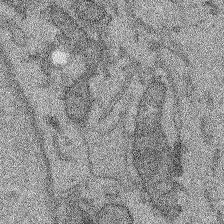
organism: Human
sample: HeLa cells